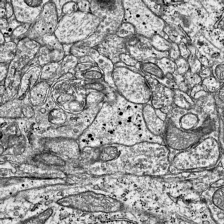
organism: Mouse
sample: Visual Cortex